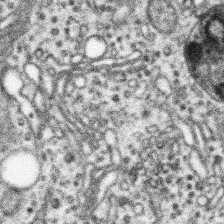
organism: Human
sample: HeLa cells